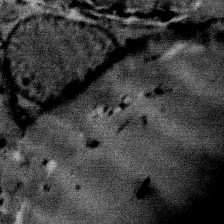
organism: Mouse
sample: Mouse Salivary gland